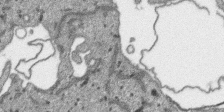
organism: Human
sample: Lung epithelial cells infected with SARS-CoV-2